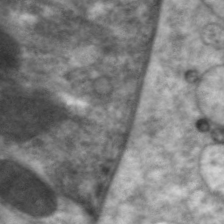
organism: C. elegans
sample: Pharynx